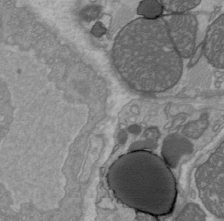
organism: C57BL Mouse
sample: Heart